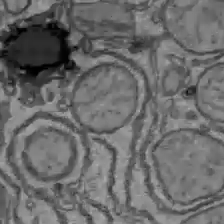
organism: C57BL Mouse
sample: Liver